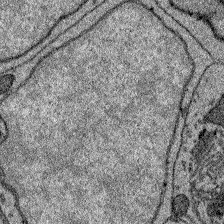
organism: Zebrafish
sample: Larval olfactory bulb